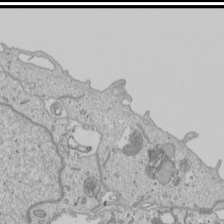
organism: Human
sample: Mitochondria in U2OS cells